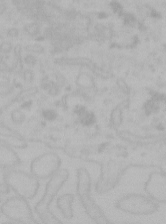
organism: Mouse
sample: Choroid plexus